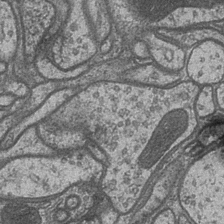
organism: Drosophila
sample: Optic medulla